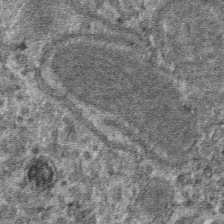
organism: Mouse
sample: Mouse hepatocytes